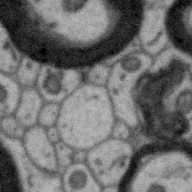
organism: Zebra finch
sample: Brain